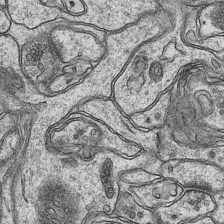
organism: Mouse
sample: CA1 Hippocampus